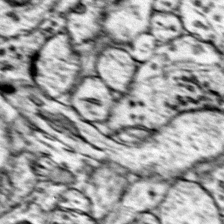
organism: Mouse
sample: Primary visual cortex